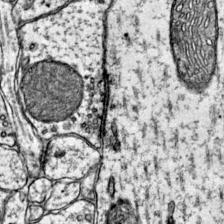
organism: Mouse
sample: Primary visual cortex